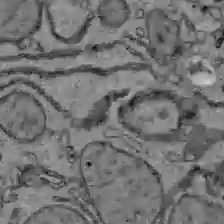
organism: C57BL Mouse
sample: Liver